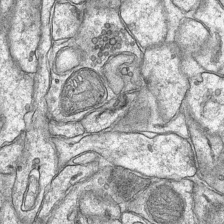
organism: Mouse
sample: CA1 Hippocampus